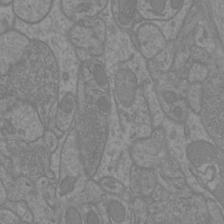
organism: Mouse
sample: Cortical neurons